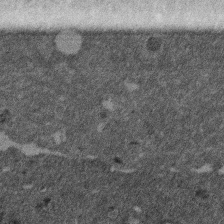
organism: Mouse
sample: Dividing mouse embryo 1 cell stage